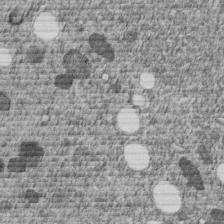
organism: C. elegans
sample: C. elegans embryo early stage